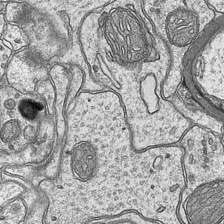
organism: Mouse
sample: CA1 Hippocampus